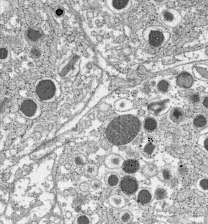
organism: C57BL Mouse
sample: Pancreatic islet